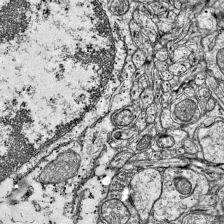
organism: Mouse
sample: Visual Cortex